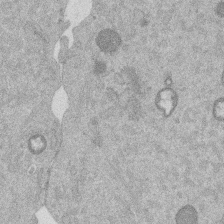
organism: Mouse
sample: Dividing mouse embryo 1 cell stage